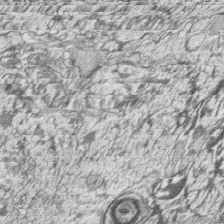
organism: Zebrafish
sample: synaptic ribbons in rod cells and cone cells